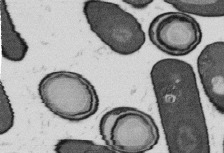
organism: B. subtilis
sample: Bacterial spore